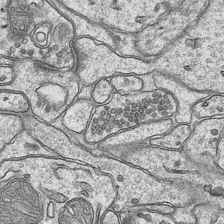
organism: Mouse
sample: CA1 Hippocampus